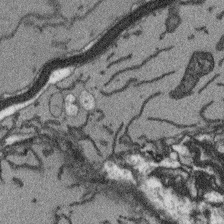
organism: Arabidopsis thaliana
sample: Root tip